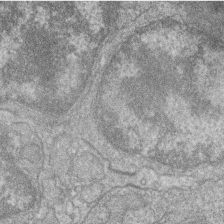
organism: Zebrafish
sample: Cilia; retinal pigment epithelium